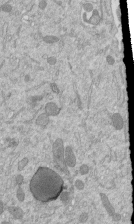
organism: Mouse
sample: ED-1 cell nuclei; centrioles